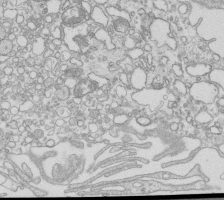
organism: Mouse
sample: Macrophages